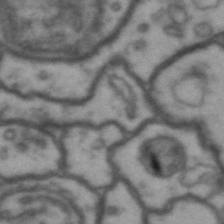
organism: Drosophila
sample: Brain